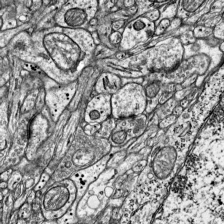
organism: Mouse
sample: Visual Cortex